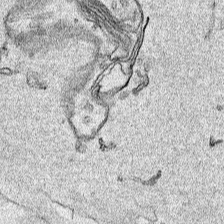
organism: Human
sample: Mitochondria in HCT116 cells